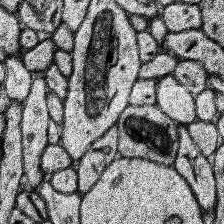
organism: Human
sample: Temporal Lobe